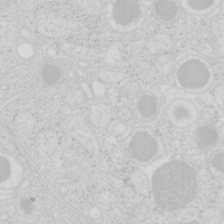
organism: Mouse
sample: Pancreas